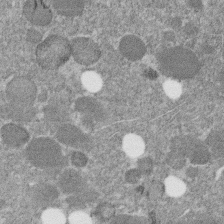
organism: C. elegans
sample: C. elegans embryo early stage